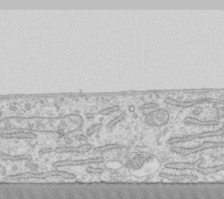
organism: Human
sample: Fibroblast cells